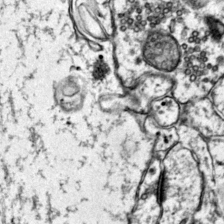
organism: Mouse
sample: Primary visual cortex